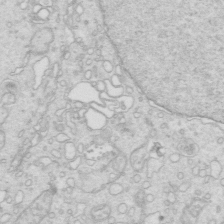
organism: Mouse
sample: Multiciliated cells